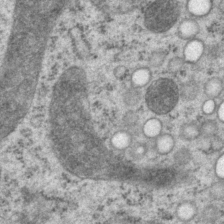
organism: P. pacificus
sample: Pharynx